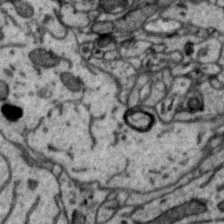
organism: Zebra finch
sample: Brain